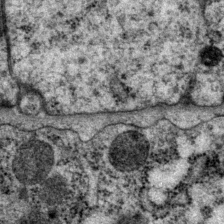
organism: P. pacificus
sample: Pharynx